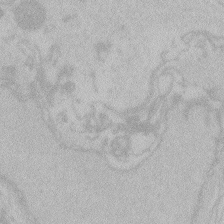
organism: Zebrafish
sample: Macrophage infected with Toxoplasma gondii